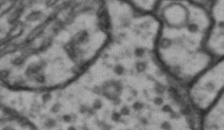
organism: Drosophila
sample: Brain